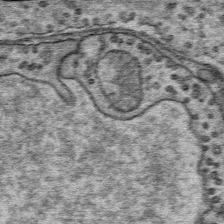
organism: Mouse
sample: Mouse Salivary gland